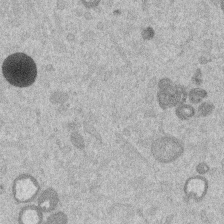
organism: Mouse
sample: Dividing mouse embryo 1 cell stage